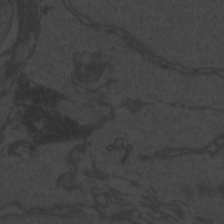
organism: Zebrafish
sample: Macrophage infected with Toxoplasma gondii